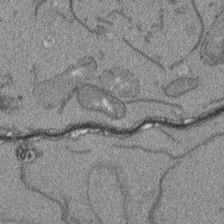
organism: Arabidopsis thaliana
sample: Root tip